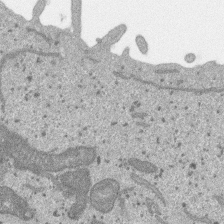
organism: Human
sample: Lung epithelial cells infected with SARS-CoV-2